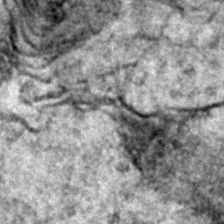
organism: Zebrafish